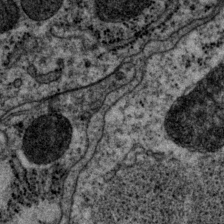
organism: P. pacificus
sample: Pharynx